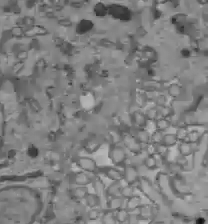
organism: C57BL Mouse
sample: Liver